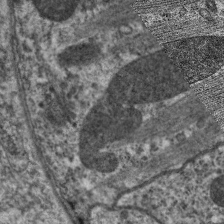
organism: C. elegans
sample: Pharynx